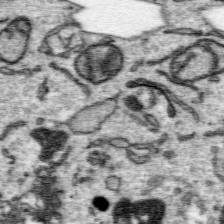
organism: Human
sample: HeLa cells